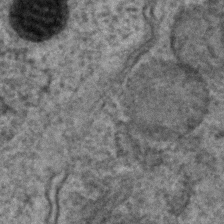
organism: C. elegans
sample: C. elegans embryo